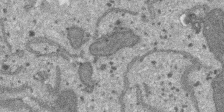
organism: Human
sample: Lung epithelial cells infected with SARS-CoV-2